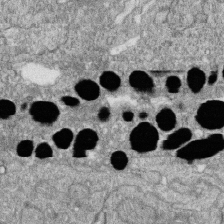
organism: Zebrafish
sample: Cilia; retinal pigment epithelium